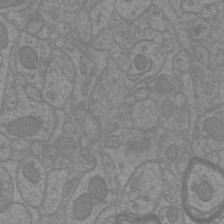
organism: Mouse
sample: Cortical neurons